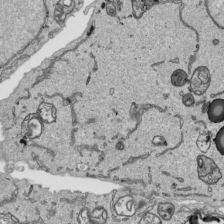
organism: Human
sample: Mitochondria in HCT116 cells